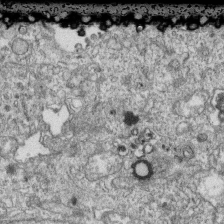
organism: Human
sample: HeLa cell HIV synapse